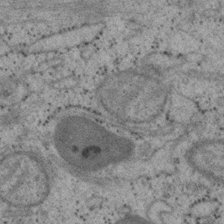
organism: Human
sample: HeLa cells